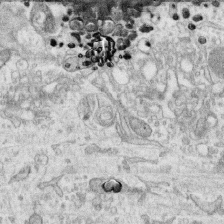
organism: Human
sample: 1205lu cells